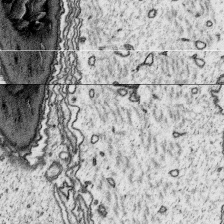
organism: Platynereis dumerilii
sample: Parapodia